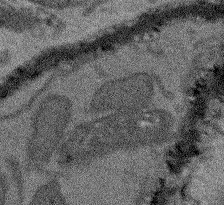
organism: Arabidopsis thaliana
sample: Root tip